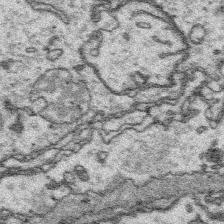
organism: Platynereis dumerilii